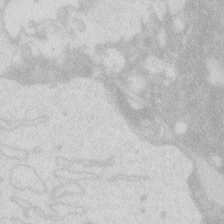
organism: Zebrafish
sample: Macrophage